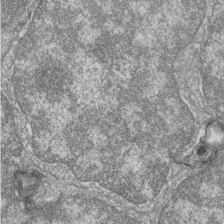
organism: Zebrafish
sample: Cilia; retinal pigment epithelium